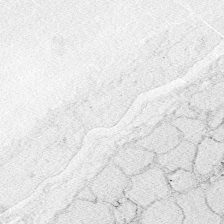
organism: Zebrafish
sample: Whole-Brain